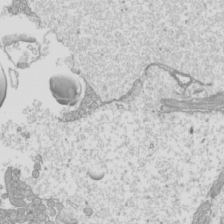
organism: Mouse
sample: Cilia; mouse epididymis